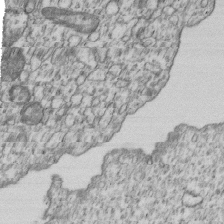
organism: Human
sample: MDA-MB-231 cells